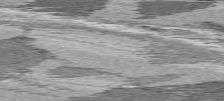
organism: C57BL Mouse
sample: Heart